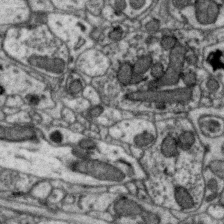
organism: Zebra finch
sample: Brain